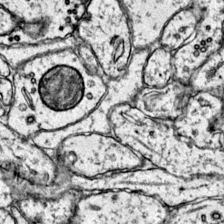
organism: Mouse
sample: Primary visual cortex